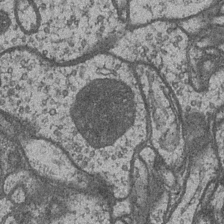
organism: Drosophila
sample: Optic medulla